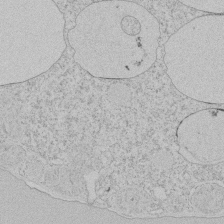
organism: Tetrahymena